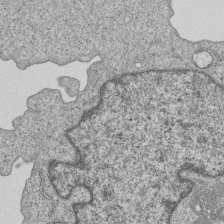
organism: Human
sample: MDA-MB-231 cells